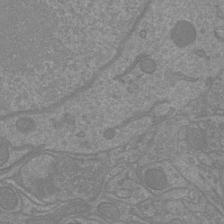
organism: Mouse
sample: Cortical neurons